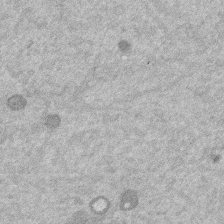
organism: Mouse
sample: Dividing mouse embryo 1 cell stage